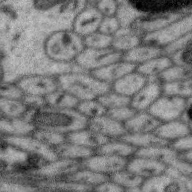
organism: Zebra finch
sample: Brain